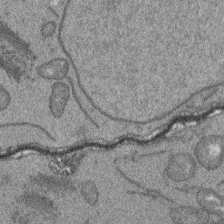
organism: Arabidopsis thaliana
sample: Root tip